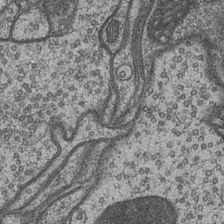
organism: Drosophila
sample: Optic medulla